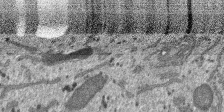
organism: Human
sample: Lung epithelial cells infected with SARS-CoV-2